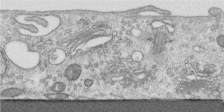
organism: Human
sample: Centriole in RPE cells